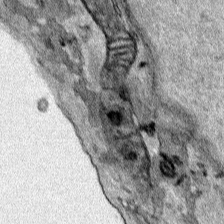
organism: Human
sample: Mitochondria in HCT116 cells